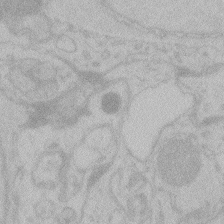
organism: Zebrafish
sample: Macrophage infected with Toxoplasma gondii